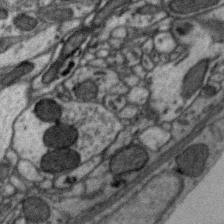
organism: Zebra finch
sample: Brain